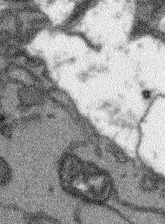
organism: Arabidopsis thaliana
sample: Root tip